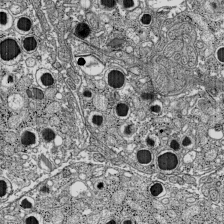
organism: C57BL Mouse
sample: Pancreatic islet